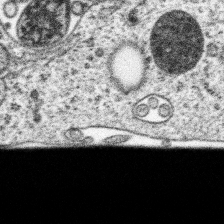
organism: Human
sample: HeLa cells